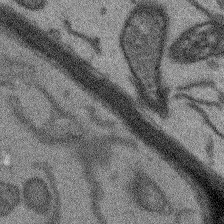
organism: Arabidopsis thaliana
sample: Root tip